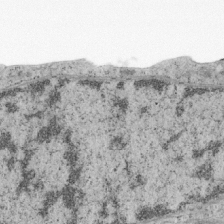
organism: Human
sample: HeLa cells